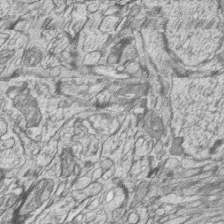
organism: Zebrafish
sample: synaptic ribbons in rod cells and cone cells